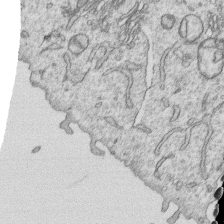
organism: Human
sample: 1205lu cells